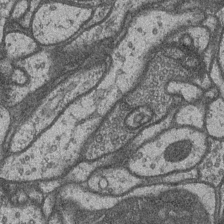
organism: Drosophila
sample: Optic medulla